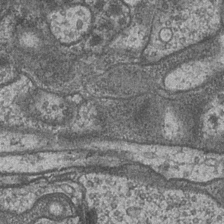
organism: Drosophila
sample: Optic medulla